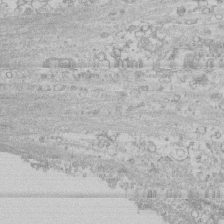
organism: Human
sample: CRL-1474